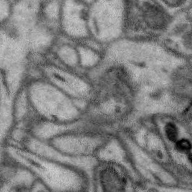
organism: Zebra finch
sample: Brain